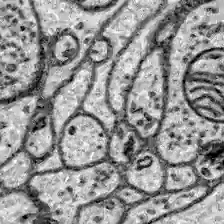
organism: Zebrafish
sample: Brain